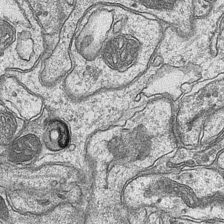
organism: Mouse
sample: CA1 Hippocampus